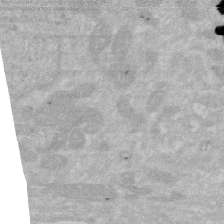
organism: Human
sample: HIV infected U937 cells